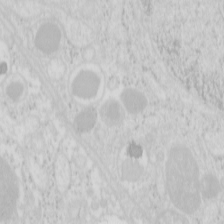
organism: Mouse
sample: Pancreas